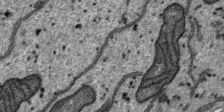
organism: Human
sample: Lung epithelial cells, uninfected (mock) control